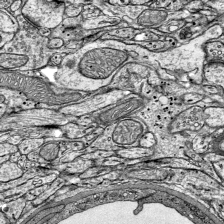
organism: Mouse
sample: Visual Cortex